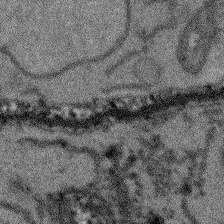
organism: Arabidopsis thaliana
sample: Root tip